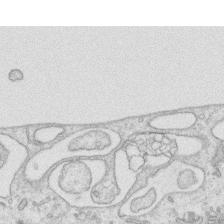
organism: Human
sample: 1205lu cells